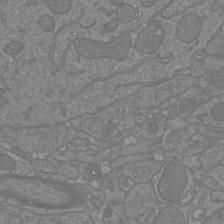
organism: Mouse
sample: Cortical neurons